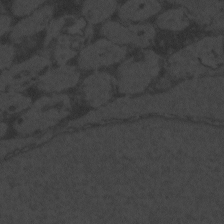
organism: Zebrafish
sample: Macrophage infected with Toxoplasma gondii